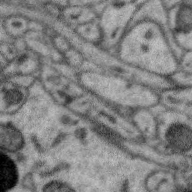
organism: Zebra finch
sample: Brain